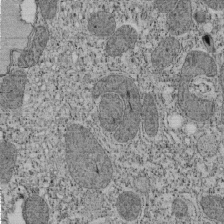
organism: Tetrahymena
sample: Cilia in tetrahymena